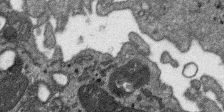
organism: Human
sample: Lung epithelial cells infected with SARS-CoV-2